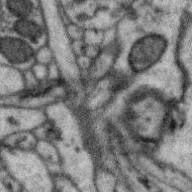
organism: Zebra finch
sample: Brain